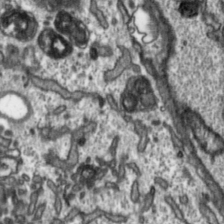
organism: Toxoplasma gondii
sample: Parasites in a vacuole inside a host cell